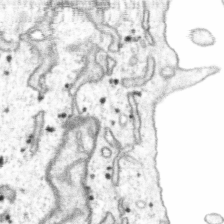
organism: Human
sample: HeLa cells